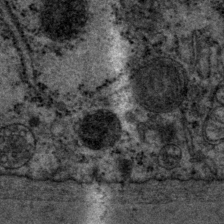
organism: P. pacificus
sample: Pharynx